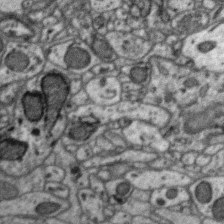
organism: Zebra finch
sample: Brain